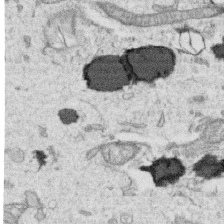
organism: Human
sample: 1205lu cells